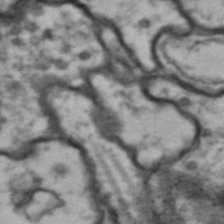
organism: Drosophila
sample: Brain